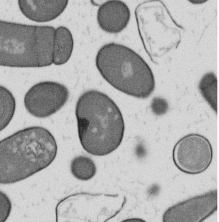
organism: B. subtilis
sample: Bacterial spore